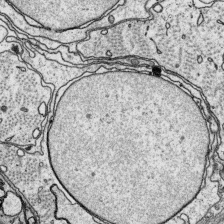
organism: Platynereis dumerilii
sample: Parapodia